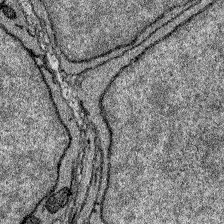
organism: Zebrafish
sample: Larval olfactory bulb